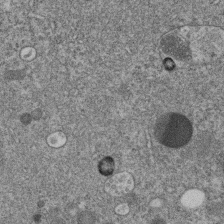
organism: C. elegans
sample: C. elegans embryo early stage